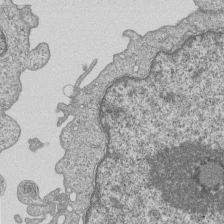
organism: Human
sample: MDA-MB-231 cells